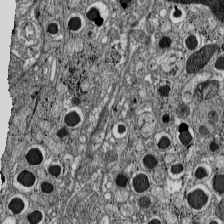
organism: C57BL Mouse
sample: Pancreatic islet